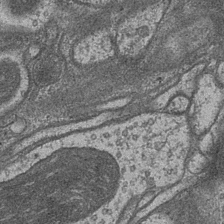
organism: Drosophila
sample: Optic medulla